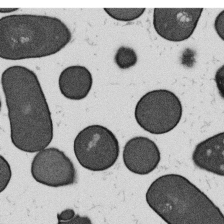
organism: B. subtilis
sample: Bacterial spore